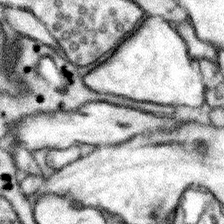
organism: Mouse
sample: Somatosensory cortex neuropil